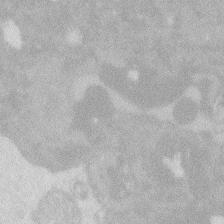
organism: Zebrafish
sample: Macrophage